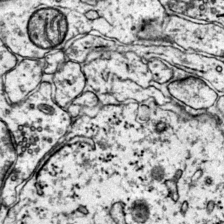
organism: Mouse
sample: Primary visual cortex